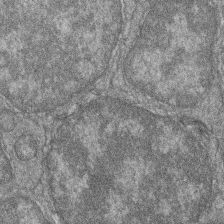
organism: Zebrafish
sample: Cilia; retinal pigment epithelium